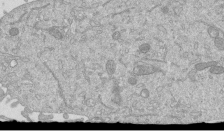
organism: Mouse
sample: ED-1 cell nuclei; centrioles